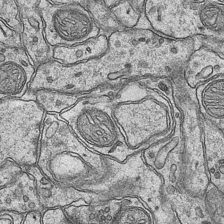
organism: Mouse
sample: CA1 Hippocampus